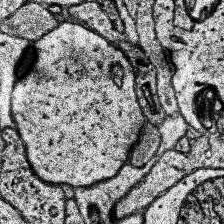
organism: Human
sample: Temporal Lobe